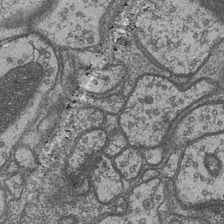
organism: Drosophila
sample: Optic medulla